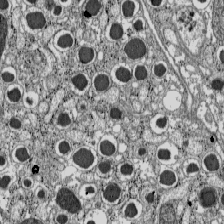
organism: C57BL Mouse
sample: Pancreatic islet